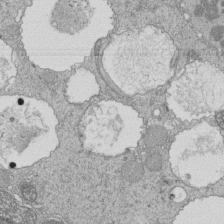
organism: Tetrahymena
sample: Cilia in tetrahymena